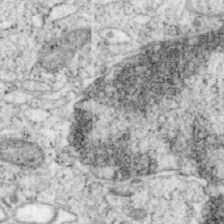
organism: Mouse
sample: OT-I killer T cells with ID8 ovarian cancer cells